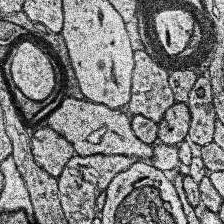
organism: Human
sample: Temporal Lobe